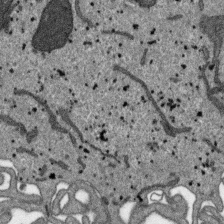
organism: Human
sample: Lung epithelial cells, uninfected (mock) control